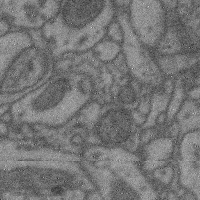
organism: Mouse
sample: Cerebral cortex